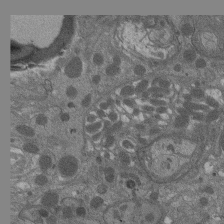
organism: Drosophila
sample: Antenna